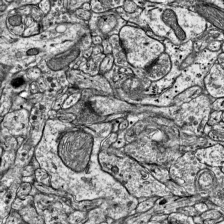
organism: Mouse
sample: Visual Cortex